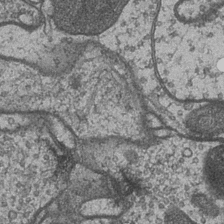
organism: Drosophila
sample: Optic medulla